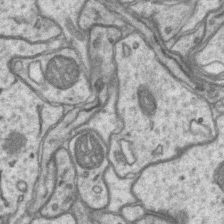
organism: Mouse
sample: CA1 Hippocampus